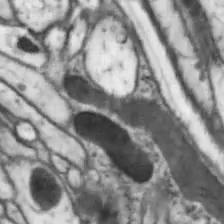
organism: Drosophila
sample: Optic lobe